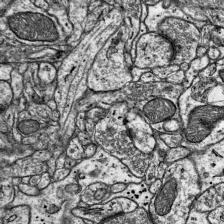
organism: Mouse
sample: Visual Cortex